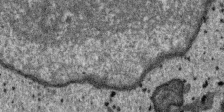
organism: Human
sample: Lung epithelial cells, uninfected (mock) control